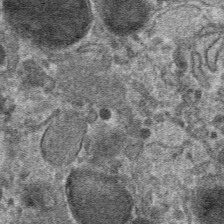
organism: Mouse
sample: Mouse hepatocytes